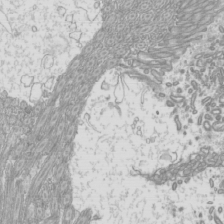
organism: Mouse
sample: Cilia; mouse epididymis